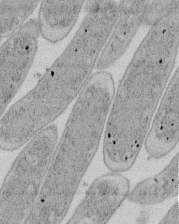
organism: E. coli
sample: Bacterial nucleoid